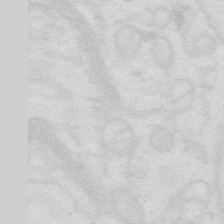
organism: Human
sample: HeLa cells